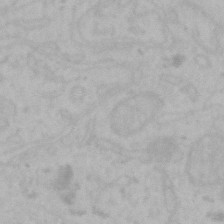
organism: Mouse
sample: Choroid plexus